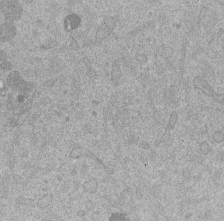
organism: Mouse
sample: Dividing mouse embryo 1 cell stage